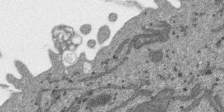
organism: Human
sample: Lung epithelial cells infected with SARS-CoV-2